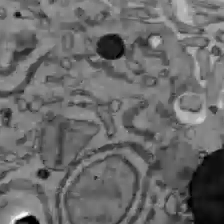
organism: C57BL Mouse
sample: Liver